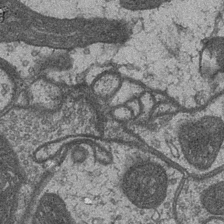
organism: Drosophila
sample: Optic medulla